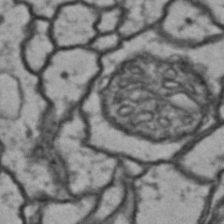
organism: Drosophila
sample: Brain